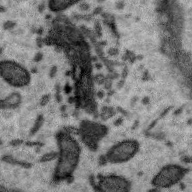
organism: Zebra finch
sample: Brain